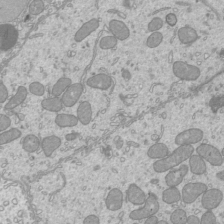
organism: Mouse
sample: Cilia; mouse epididymis